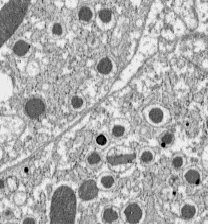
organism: C57BL Mouse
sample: Pancreatic islet